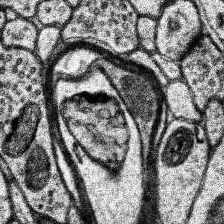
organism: Human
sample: Temporal Lobe